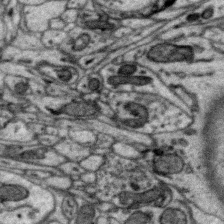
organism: Zebra finch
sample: Brain